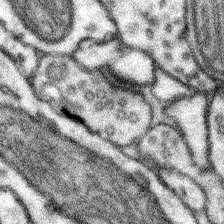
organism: Mouse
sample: Somatosensory cortex neuropil